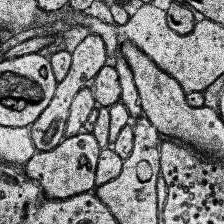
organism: Human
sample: Temporal Lobe